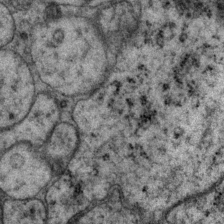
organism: P. pacificus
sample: Pharynx